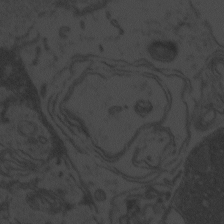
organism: Zebrafish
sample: Macrophage infected with Toxoplasma gondii